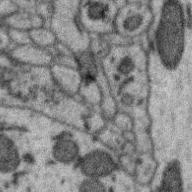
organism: Zebra finch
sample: Brain